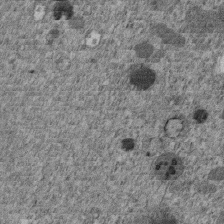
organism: C. elegans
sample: C. elegans embryo early stage